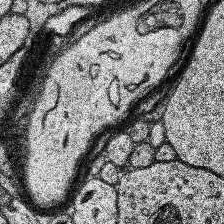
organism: Human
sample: Temporal Lobe